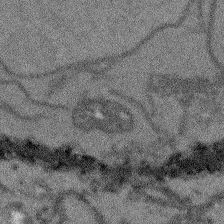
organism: Arabidopsis thaliana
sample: Root tip